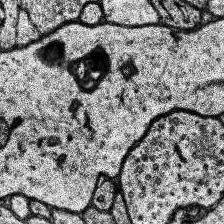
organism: Human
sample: Temporal Lobe